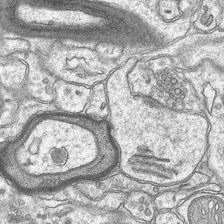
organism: Mouse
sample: CA1 Hippocampus